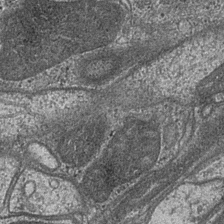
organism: Drosophila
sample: Optic medulla